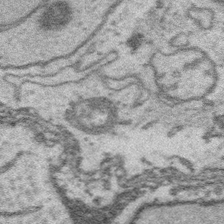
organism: Platynereis dumerilii